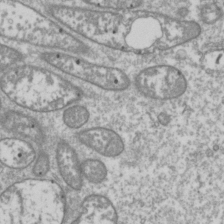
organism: Drosophila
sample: Cell division; meiosis; drosophila spermatocytes